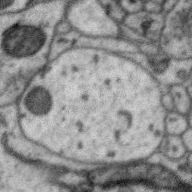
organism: Zebra finch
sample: Brain